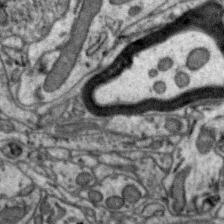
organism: Zebra finch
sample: Brain